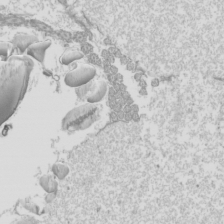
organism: Mouse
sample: Cilia; mouse epididymis